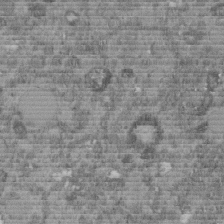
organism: C. elegans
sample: C. elegans embryo early stage